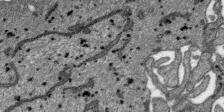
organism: Human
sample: Lung epithelial cells, uninfected (mock) control